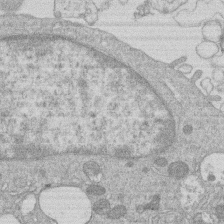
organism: Human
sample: Macrophage cells